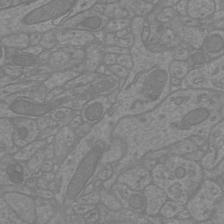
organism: Mouse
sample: Cortical neurons